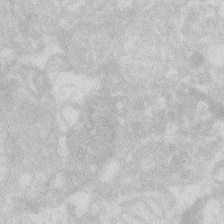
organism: Zebrafish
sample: Macrophage